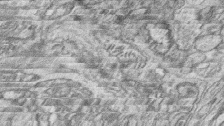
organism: Zebrafish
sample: synaptic ribbons in rod cells and cone cells